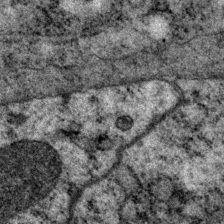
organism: P. pacificus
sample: Pharynx